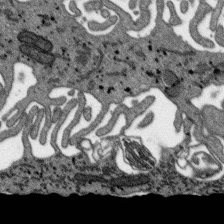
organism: Human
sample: Lung epithelial cells, uninfected (mock) control